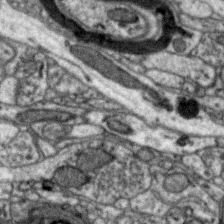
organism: Zebra finch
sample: Brain